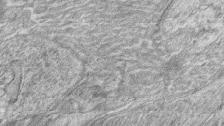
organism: Zebrafish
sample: synaptic ribbons in rod cells and cone cells